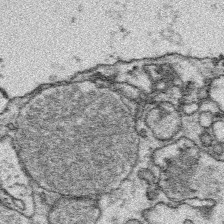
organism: Platynereis dumerilii